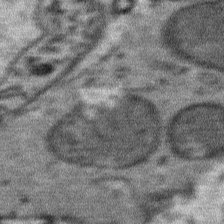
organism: Mouse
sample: Mouse Salivary gland